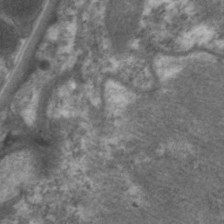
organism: C. elegans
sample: Pharynx